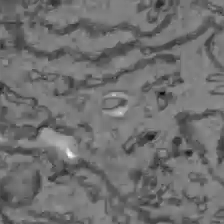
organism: C57BL Mouse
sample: Liver